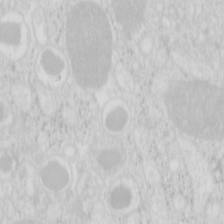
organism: Mouse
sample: Pancreas